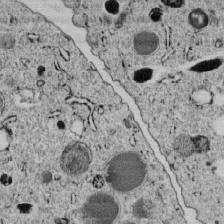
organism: C. elegans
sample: C. elegans embryo early stage